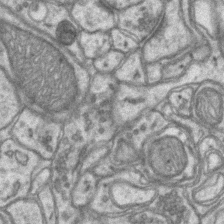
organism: Mouse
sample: CA1 Hippocampus